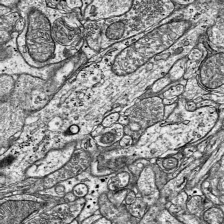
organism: Mouse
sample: Visual Cortex